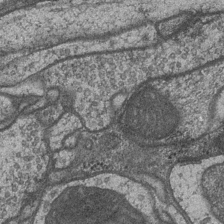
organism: Drosophila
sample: Optic medulla